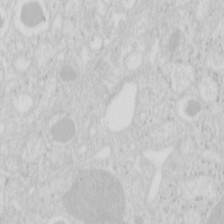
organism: Mouse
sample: Pancreas